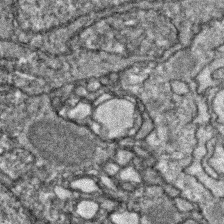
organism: Zebrafish